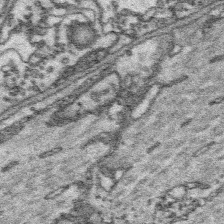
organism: Platynereis dumerilii